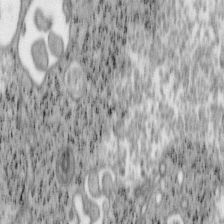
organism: Human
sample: HeLa cells